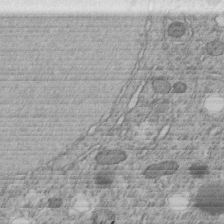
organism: C. elegans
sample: C. elegans embryo early stage